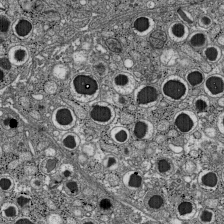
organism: C57BL Mouse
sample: Pancreatic islet